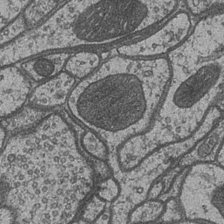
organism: Drosophila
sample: Optic medulla